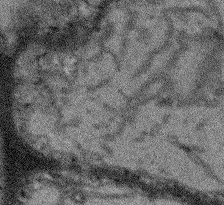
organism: Arabidopsis thaliana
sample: Root tip